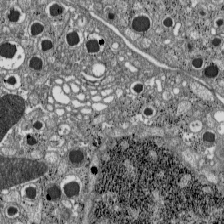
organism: C57BL Mouse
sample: Pancreatic islet